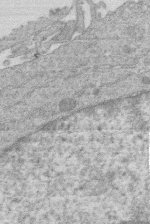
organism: Human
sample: Macrophage cells